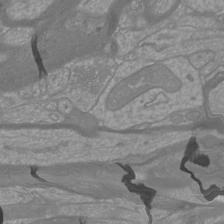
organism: Mouse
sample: Cortical neurons